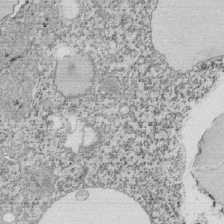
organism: Tetrahymena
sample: Cilia in tetrahymena